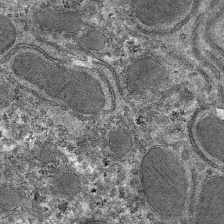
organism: Mouse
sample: Mouse hepatocytes